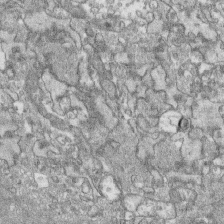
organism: Human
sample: CRL-1474